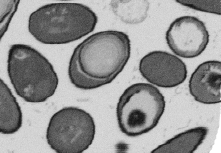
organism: B. subtilis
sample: Bacterial spore